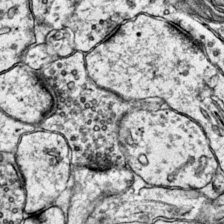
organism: Mouse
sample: Primary visual cortex